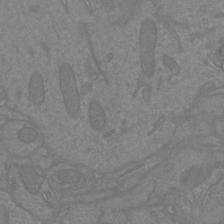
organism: Mouse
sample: Cortical neurons